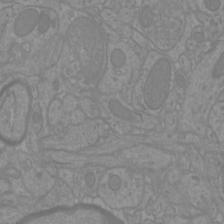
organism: Mouse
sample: Cortical neurons